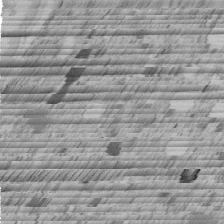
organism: C. elegans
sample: C. elegans embryo early stage